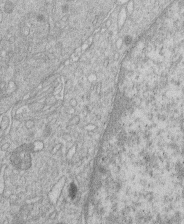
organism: Human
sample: Macrophage cells